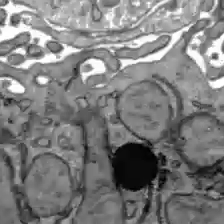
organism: C57BL Mouse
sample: Liver